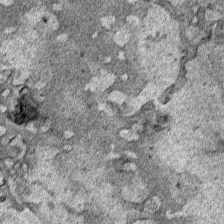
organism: Human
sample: Mitochondria in HCT116 cells